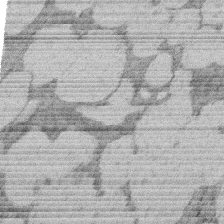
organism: Rat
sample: Salivary granule